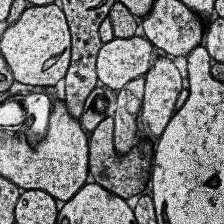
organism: Human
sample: Temporal Lobe